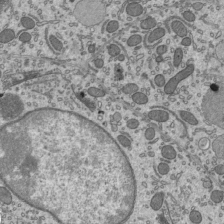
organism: Mouse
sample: Mouse epididymis efferent ductule cilia